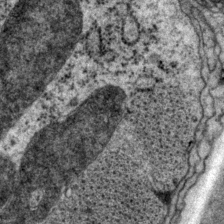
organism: P. pacificus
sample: Pharynx